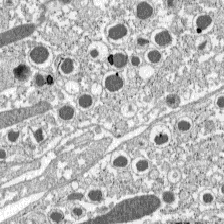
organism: C57BL Mouse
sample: Pancreatic islet